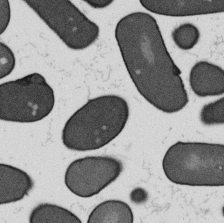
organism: B. subtilis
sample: Bacterial spore